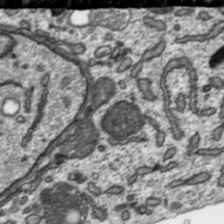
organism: Toxoplasma gondii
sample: Parasites in a vacuole inside a host cell